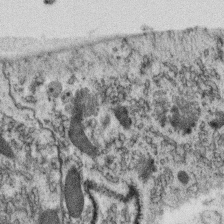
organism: C. elegans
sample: C. elegans oocyte; sperm cells